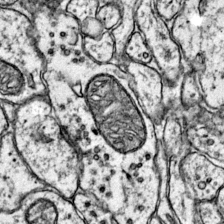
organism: Mouse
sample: Primary visual cortex